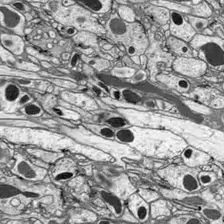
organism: Drosophila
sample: Optic lobe